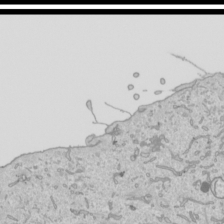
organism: Human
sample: Mitochondria in HCT116 cells